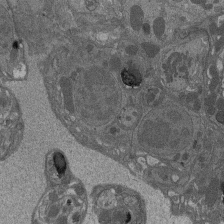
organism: Drosophila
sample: Antenna